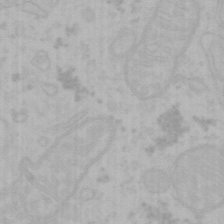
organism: Mouse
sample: Choroid plexus